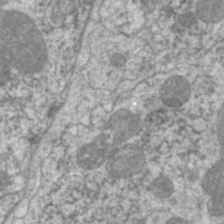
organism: C. elegans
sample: Pharynx